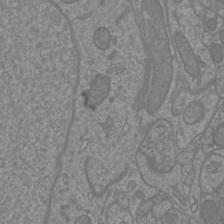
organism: Mouse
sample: Cortical neurons